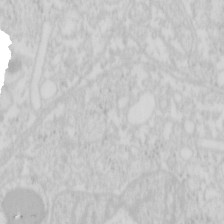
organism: Mouse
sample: Pancreas